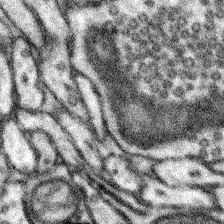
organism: Mouse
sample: Somatosensory cortex neuropil